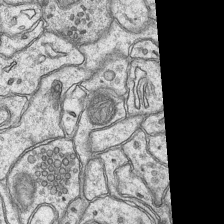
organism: Mouse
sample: CA1 Hippocampus